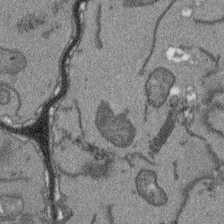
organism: Arabidopsis thaliana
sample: Root tip